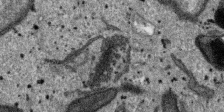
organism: Human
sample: Lung epithelial cells, uninfected (mock) control